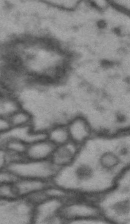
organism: Drosophila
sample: Brain